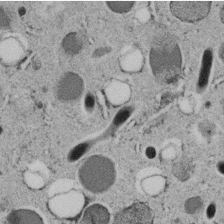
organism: C. elegans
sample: C. elegans embryo early stage